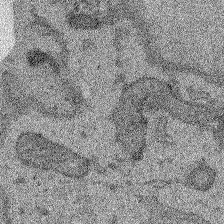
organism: Human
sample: HeLa cells